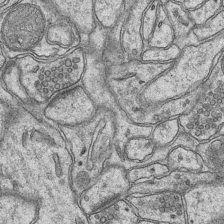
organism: Mouse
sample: CA1 Hippocampus